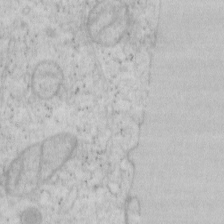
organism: Human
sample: HeLa cells